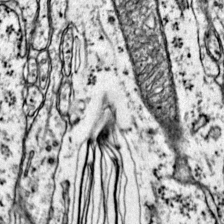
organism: Mouse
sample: Primary visual cortex